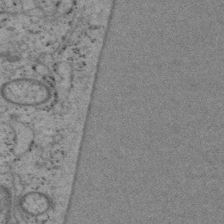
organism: Human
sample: HeLa cells